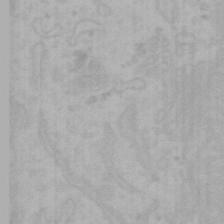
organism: Mouse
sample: Choroid plexus